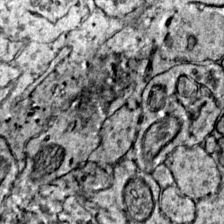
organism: Mouse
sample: Primary visual cortex